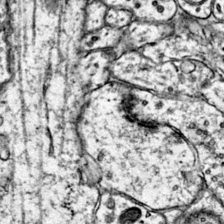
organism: Mouse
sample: Primary visual cortex